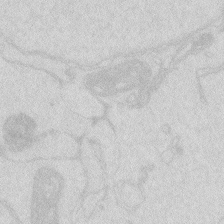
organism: Zebrafish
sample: Macrophage